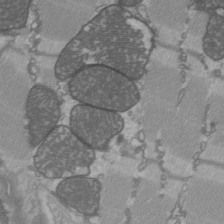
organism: C57BL Mouse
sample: Heart